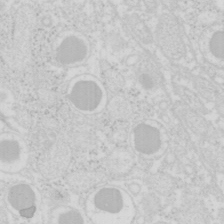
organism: Mouse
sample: Pancreas